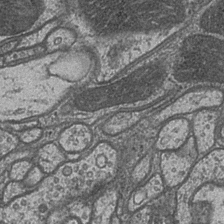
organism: Drosophila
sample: Optic medulla